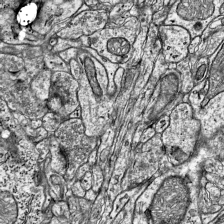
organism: Mouse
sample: Visual Cortex